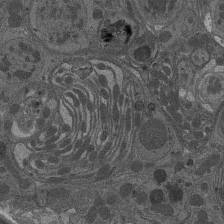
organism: Drosophila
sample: Antenna